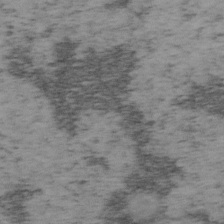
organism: Mouse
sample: OT-I killer T cells with ID8 ovarian cancer cells